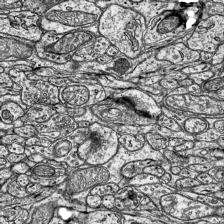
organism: Mouse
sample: Visual Cortex